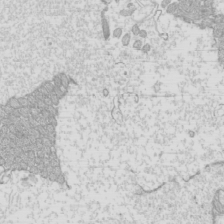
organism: Mouse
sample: Cilia; mouse epididymis